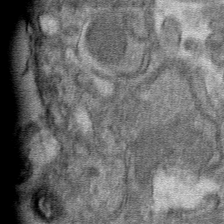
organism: Mouse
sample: Mouse hepatocytes